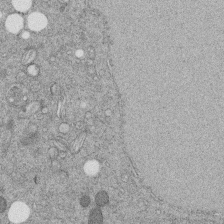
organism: C. elegans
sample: C. elegans embryo early stage